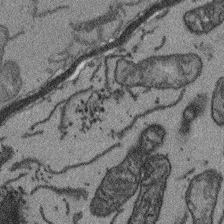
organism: Arabidopsis thaliana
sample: Root tip